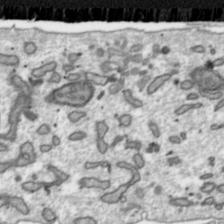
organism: Toxoplasma gondii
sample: Parasites in a vacuole inside a host cell